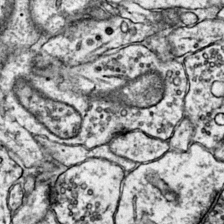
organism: Mouse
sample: Primary visual cortex